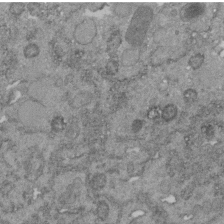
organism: C. elegans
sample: C. elegans embryo early stage